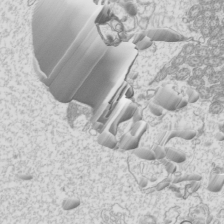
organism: Mouse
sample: Cilia; mouse epididymis